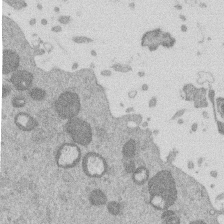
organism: Mouse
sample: Dividing mouse embryo 1 cell stage